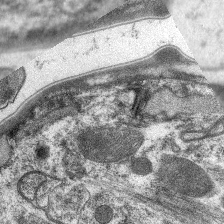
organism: C. elegans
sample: Pharynx